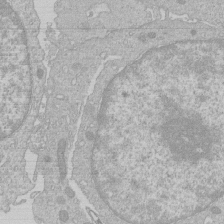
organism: Human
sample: Macrophage cells